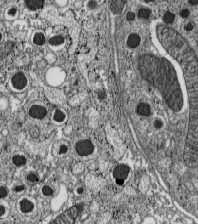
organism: C57BL Mouse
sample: Pancreatic islet